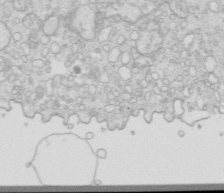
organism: Mouse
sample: Multiciliated cells